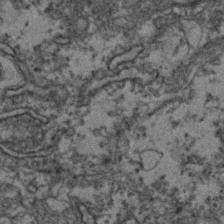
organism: Zebrafish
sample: Zebrafish embryo